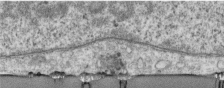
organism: Human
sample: Centriole in RPE cells